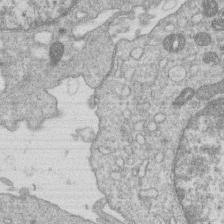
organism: Human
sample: Macrophage cells